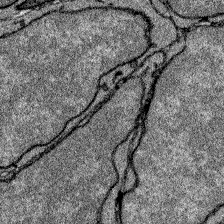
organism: Zebrafish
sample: Larval olfactory bulb